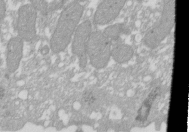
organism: Xenopus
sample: Cilia; centrioles in frog embryo cells